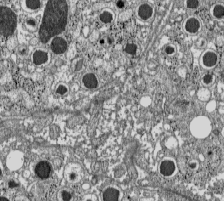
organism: C57BL Mouse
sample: Pancreatic islet